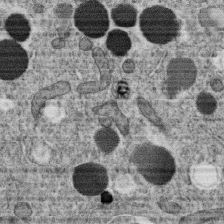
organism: C. elegans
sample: C. elegans oocyte; sperm cells